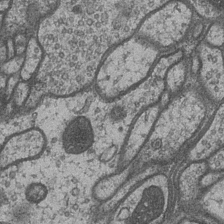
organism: Drosophila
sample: Optic medulla